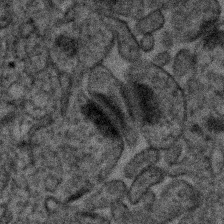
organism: Human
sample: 1205lu cells